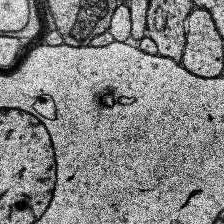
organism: Human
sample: Temporal Lobe